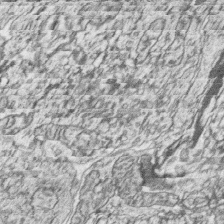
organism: Zebrafish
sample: synaptic ribbons in rod cells and cone cells